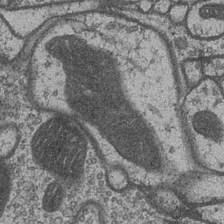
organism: Drosophila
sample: Optic medulla